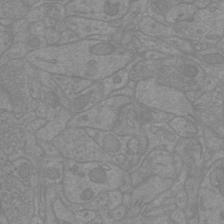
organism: Mouse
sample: Cortical neurons